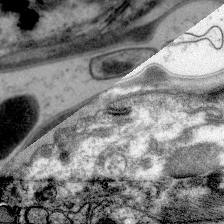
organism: C. elegans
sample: Pharynx